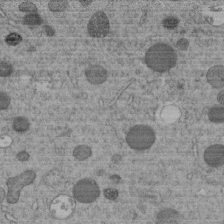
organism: C. elegans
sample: C. elegans embryo early stage